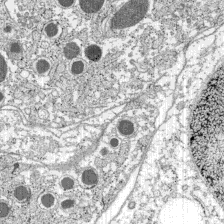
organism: C57BL Mouse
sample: Pancreatic islet